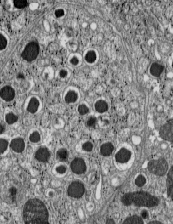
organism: C57BL Mouse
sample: Pancreatic islet